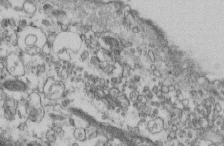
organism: Mouse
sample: Cilia; retinal pigment epithelium